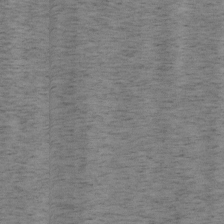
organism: Mouse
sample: OT-I killer T cells with ID8 ovarian cancer cells